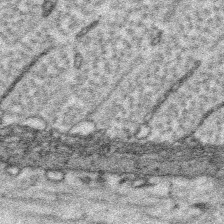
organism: Platynereis dumerilii